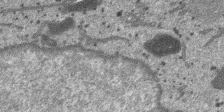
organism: Human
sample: Lung epithelial cells infected with SARS-CoV-2